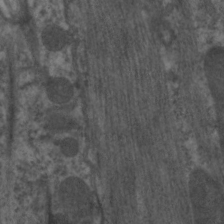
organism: C. elegans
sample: Pharynx